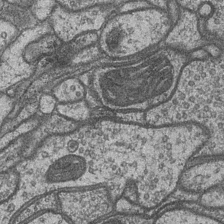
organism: Drosophila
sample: Optic medulla